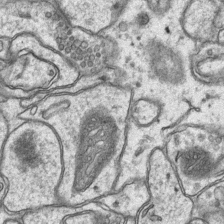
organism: Mouse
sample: CA1 Hippocampus